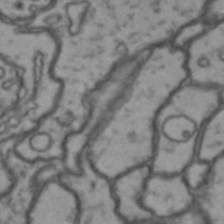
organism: Drosophila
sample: Brain